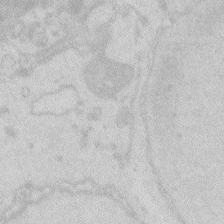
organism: Zebrafish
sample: Macrophage